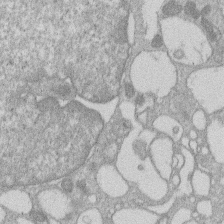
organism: Human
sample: Macrophage cells